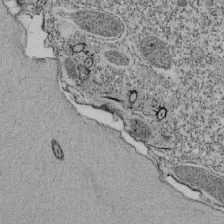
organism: Tetrahymena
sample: Cilia in tetrahymena